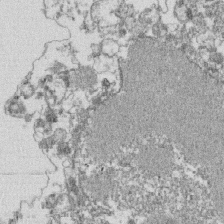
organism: Human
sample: HeLa cell HIV synapse